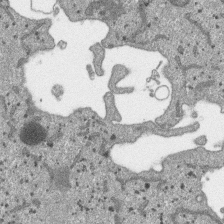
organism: Human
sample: Lung epithelial cells infected with SARS-CoV-2